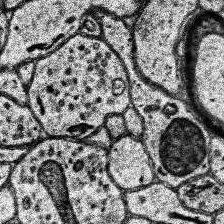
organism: Human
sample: Temporal Lobe